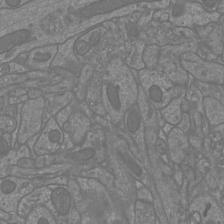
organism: Mouse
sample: Cortical neurons